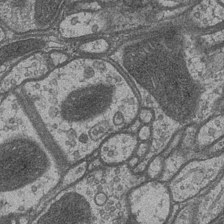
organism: Drosophila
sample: Optic medulla